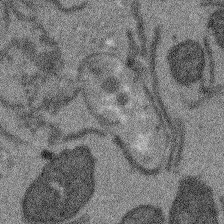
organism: Arabidopsis thaliana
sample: Root tip